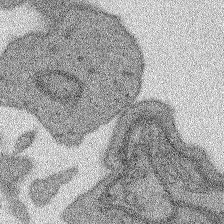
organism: Human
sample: HeLa cells